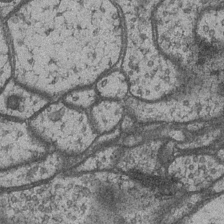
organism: Drosophila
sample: Optic medulla